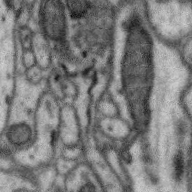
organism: Zebra finch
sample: Brain